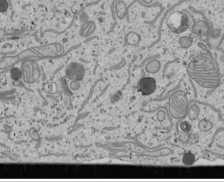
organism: Human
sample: Mitochondria in U2OS cells